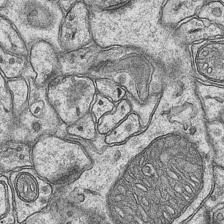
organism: Mouse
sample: CA1 Hippocampus